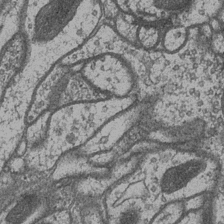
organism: Drosophila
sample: Optic medulla